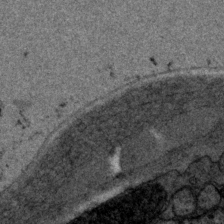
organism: P. pacificus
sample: Pharynx